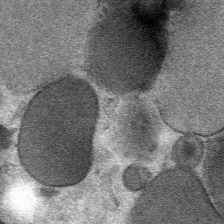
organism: Mouse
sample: Mouse Salivary gland